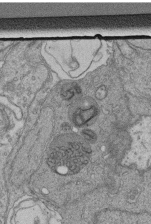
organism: Human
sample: Retinal organoid Rod and Cone cells